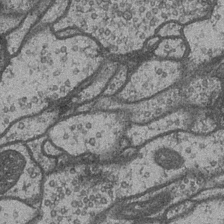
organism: Drosophila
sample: Optic medulla